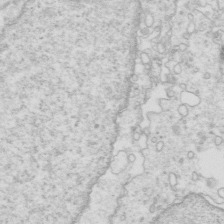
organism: Mouse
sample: Multiciliated cells